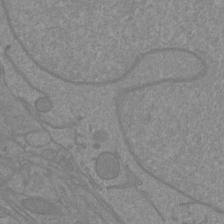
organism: Mouse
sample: Cortical neurons